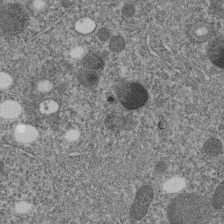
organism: C. elegans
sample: C. elegans embryo early stage